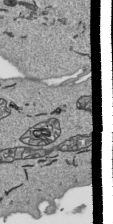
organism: Human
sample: Mitochondria in HCT116 cells